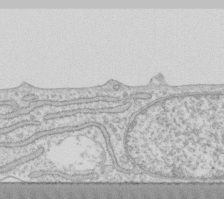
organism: Human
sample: Fibroblast cells